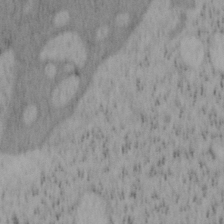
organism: Mouse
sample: OT-I killer T cells with ID8 ovarian cancer cells